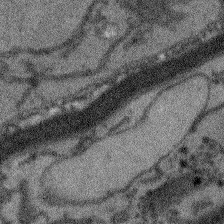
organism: Arabidopsis thaliana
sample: Root tip